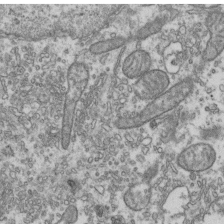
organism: Human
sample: Activated Jurkat CD4+ T cells